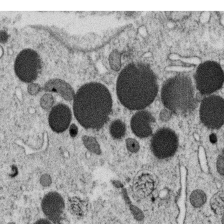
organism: C. elegans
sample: C. elegans oocyte; sperm cells